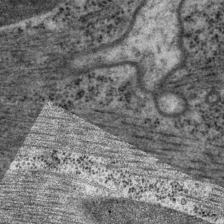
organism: P. pacificus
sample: Pharynx